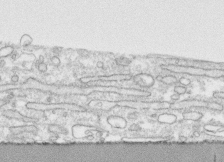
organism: Human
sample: CRL-1474